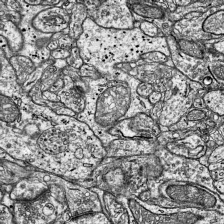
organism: Mouse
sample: Visual Cortex